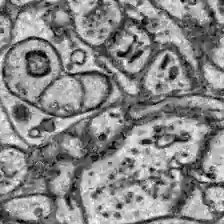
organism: Zebrafish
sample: Brain